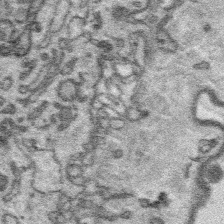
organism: Platynereis dumerilii